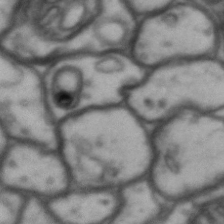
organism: Drosophila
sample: Brain